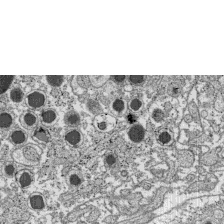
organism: C57BL Mouse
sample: Pancreatic islet